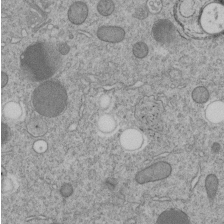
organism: C. elegans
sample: C. elegans embryo early stage